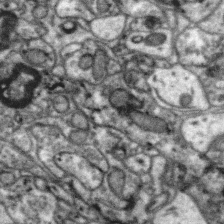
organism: Zebra finch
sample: Brain